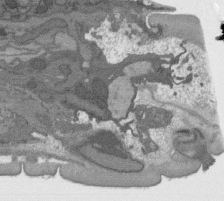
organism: C. elegans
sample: AFD neurons C. elegans